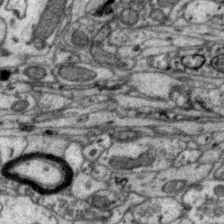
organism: Zebra finch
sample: Brain